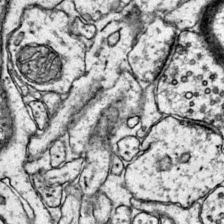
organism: Mouse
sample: Primary visual cortex